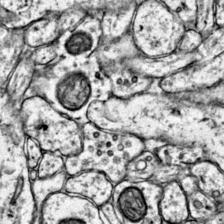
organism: Mouse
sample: Primary visual cortex